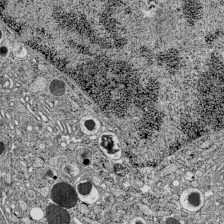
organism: C57BL Mouse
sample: Pancreatic islet